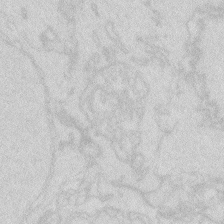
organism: Zebrafish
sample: Macrophage